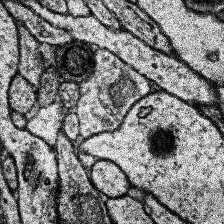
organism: Human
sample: Temporal Lobe